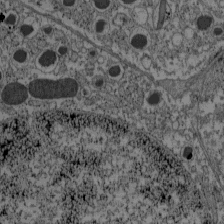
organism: C57BL Mouse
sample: Pancreatic islet